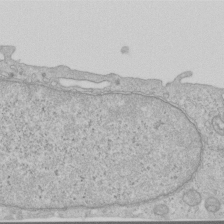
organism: Human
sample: Centriole in RPE cells